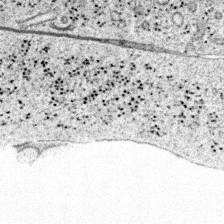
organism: Human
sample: HeLa cells